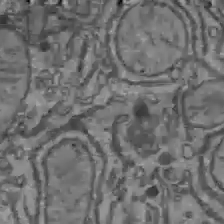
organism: C57BL Mouse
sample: Liver